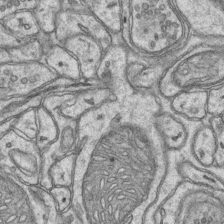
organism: Mouse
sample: CA1 Hippocampus